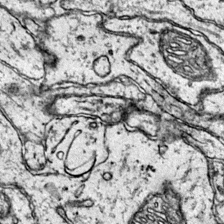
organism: Mouse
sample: Primary visual cortex